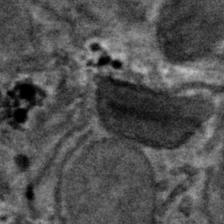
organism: Mouse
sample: Mouse hepatocytes